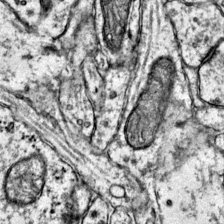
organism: Mouse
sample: Primary visual cortex